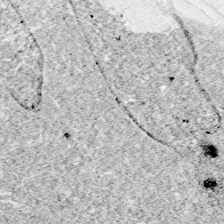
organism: Zebrafish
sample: Whole-Brain